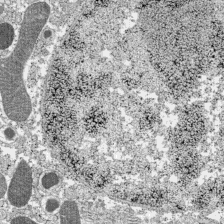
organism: C57BL Mouse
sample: Pancreatic islet